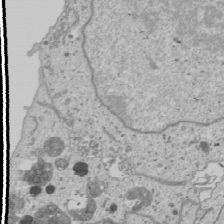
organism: Human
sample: Mitochondria in U2OS cells